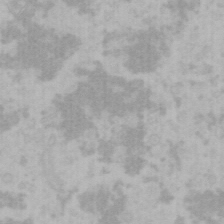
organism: Mouse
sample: Choroid plexus